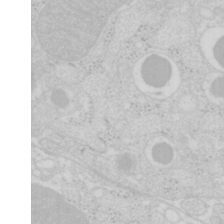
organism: Mouse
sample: Pancreas